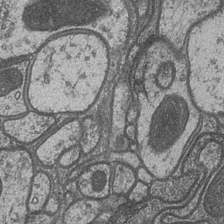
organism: Drosophila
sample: Optic medulla